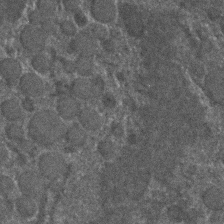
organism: C. elegans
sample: C. elegans embryo